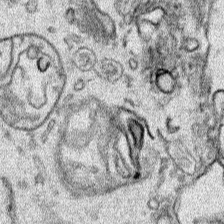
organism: Human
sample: Mitochondria in HCT116 cells